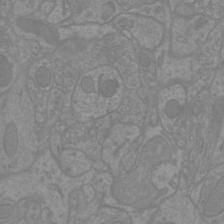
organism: Mouse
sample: Cortical neurons